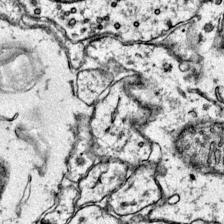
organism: Mouse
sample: Primary visual cortex